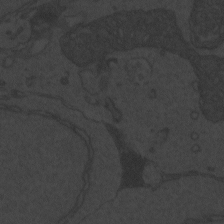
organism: Zebrafish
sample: Macrophage infected with Toxoplasma gondii